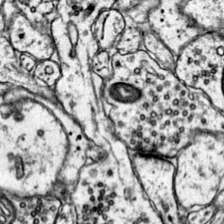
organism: Mouse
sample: Primary visual cortex